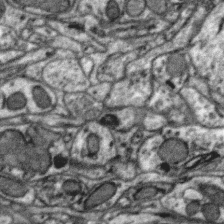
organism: Zebra finch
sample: Brain